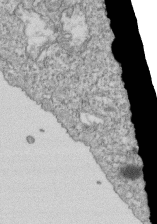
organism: Human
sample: HeLa cell HIV synapse